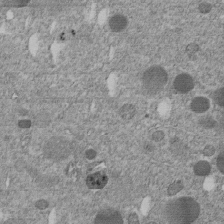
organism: C. elegans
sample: C. elegans embryo early stage